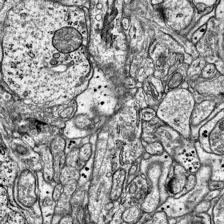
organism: Mouse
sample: Visual Cortex